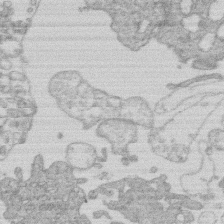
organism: Human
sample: Macrophage cells